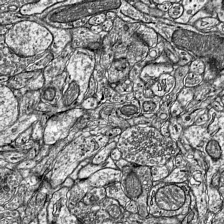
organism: Mouse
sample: Visual Cortex